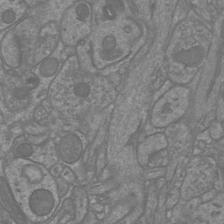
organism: Mouse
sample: Cortical neurons